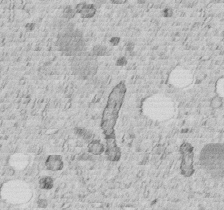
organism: C. elegans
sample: C. elegans embryo early stage